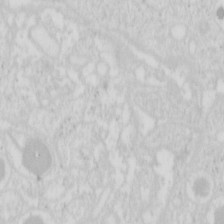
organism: Mouse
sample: Pancreas